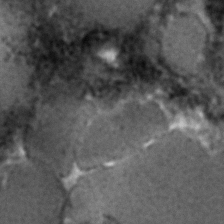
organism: C. elegans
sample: C. elegans embryo